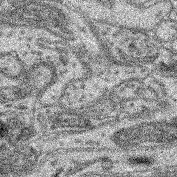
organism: Mouse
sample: Retina